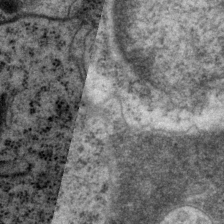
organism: P. pacificus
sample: Pharynx